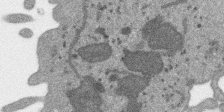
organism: Human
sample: Lung epithelial cells infected with SARS-CoV-2